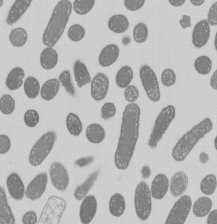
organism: E. coli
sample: Bacterial nucleoid